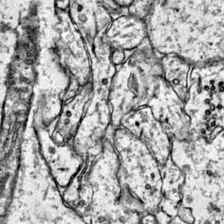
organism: Mouse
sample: Primary visual cortex